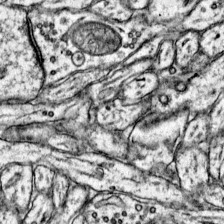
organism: Mouse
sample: Primary visual cortex